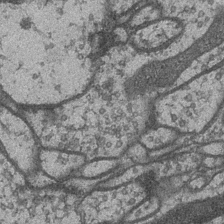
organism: Drosophila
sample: Optic medulla